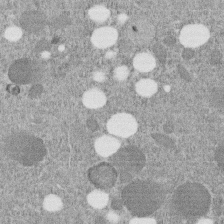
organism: C. elegans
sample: C. elegans embryo early stage